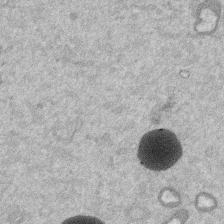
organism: Mouse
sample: Dividing mouse embryo 1 cell stage